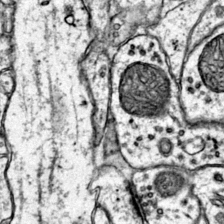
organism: Mouse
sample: Primary visual cortex